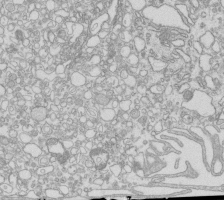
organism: Mouse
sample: Macrophages